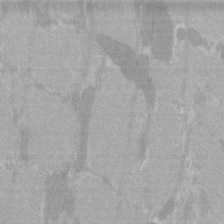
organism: C57BL Mouse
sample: Tibialis anterior muscle cell